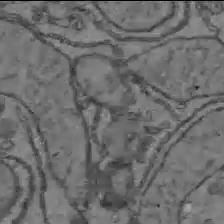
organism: C57BL Mouse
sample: Liver